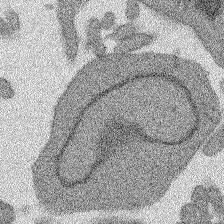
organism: Human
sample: HeLa cells